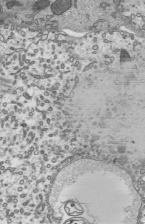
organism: Mouse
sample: Mouse epididymis efferent ductule cilia